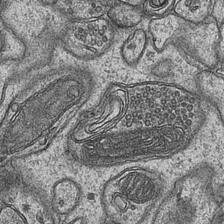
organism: Mouse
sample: CA1 Hippocampus